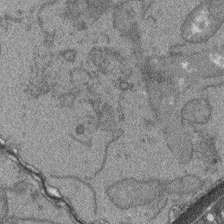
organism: Arabidopsis thaliana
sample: Root tip